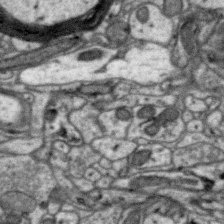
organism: Zebra finch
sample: Brain